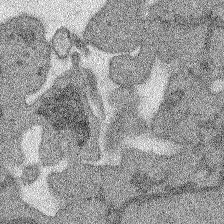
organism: Human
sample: HeLa cells